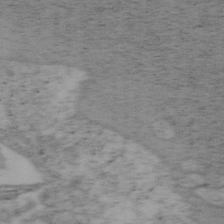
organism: Mouse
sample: OT-I killer T cells with ID8 ovarian cancer cells